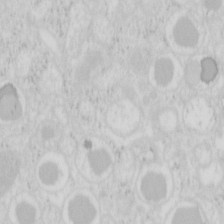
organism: Mouse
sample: Pancreas